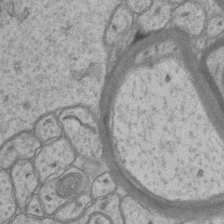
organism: Mouse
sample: CA1 Hippocampus